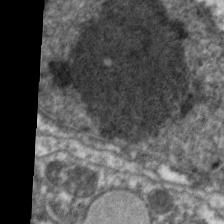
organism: C. elegans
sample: Pharynx